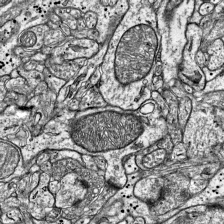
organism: Mouse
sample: Visual Cortex